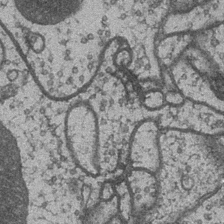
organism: Drosophila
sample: Optic medulla